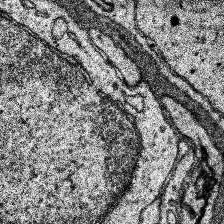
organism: Human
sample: Temporal Lobe